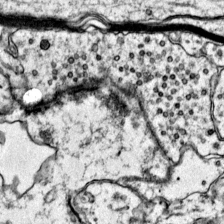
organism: Mouse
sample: Primary visual cortex